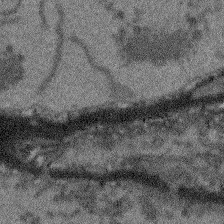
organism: Arabidopsis thaliana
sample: Root tip